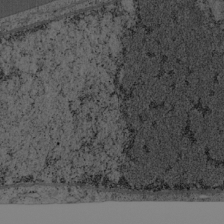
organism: African green monkey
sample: COS-7 cells